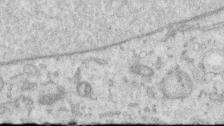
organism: Human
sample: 1205lu cells